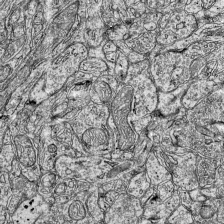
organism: Mouse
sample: Visual Cortex